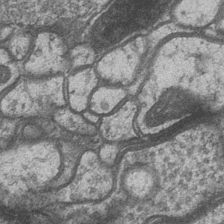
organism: Drosophila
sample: Optic medulla